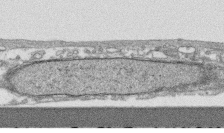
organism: Human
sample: CRL-1474